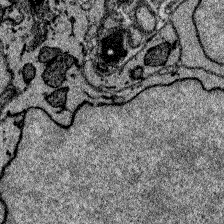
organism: Zebrafish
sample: Larval olfactory bulb